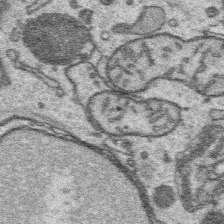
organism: Platynereis dumerilii